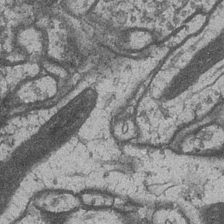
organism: Drosophila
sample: Optic medulla